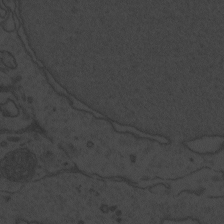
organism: Zebrafish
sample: Macrophage infected with Toxoplasma gondii